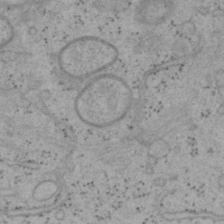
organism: Human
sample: HeLa cells